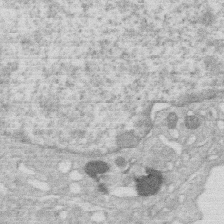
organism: Human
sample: Macrophage cells